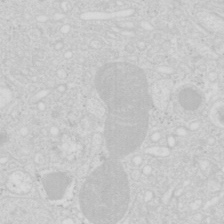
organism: Mouse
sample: Pancreas